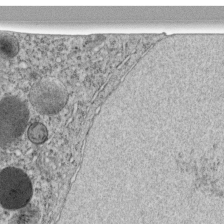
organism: C. elegans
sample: C. elegans embryo early stage